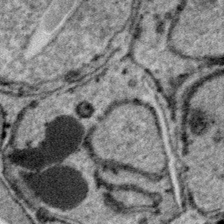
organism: Plasmodium falciparum